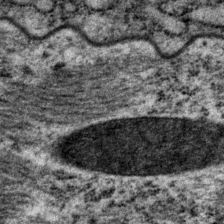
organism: P. pacificus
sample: Pharynx